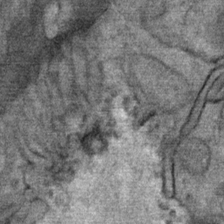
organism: Mouse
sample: Mouse Salivary gland